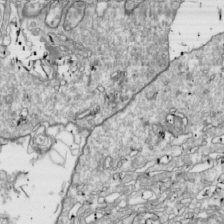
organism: Drosophila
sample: Cell division; meiosis; drosophila spermatocytes